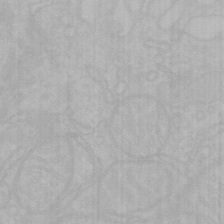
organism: Mouse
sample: Choroid plexus